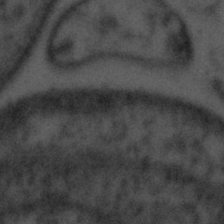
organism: Tuwongella immobilis